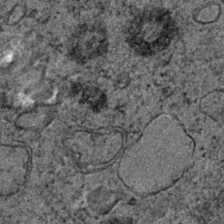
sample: Trachea